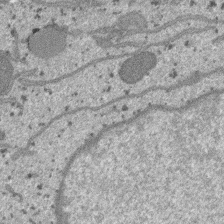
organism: Human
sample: Lung epithelial cells infected with SARS-CoV-2